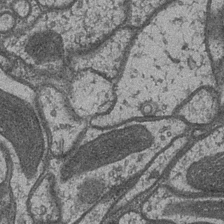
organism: Drosophila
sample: Optic medulla